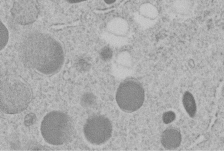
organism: C. elegans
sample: C. elegans embryo early stage